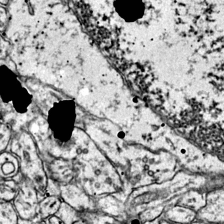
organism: Mouse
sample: Primary visual cortex